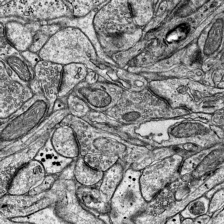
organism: Mouse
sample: Visual Cortex